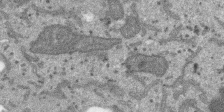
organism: Human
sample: Lung epithelial cells infected with SARS-CoV-2